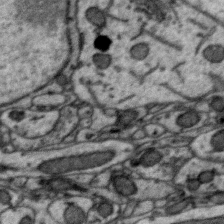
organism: Zebra finch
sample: Brain